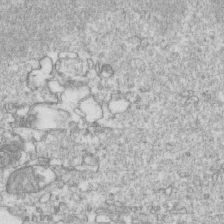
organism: Mouse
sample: Activated OT-1 CD8+ T cells